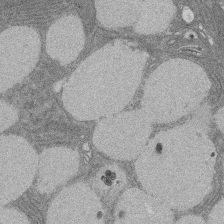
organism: Rat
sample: Salivary granule